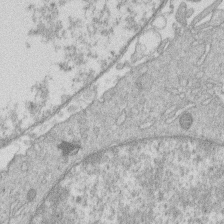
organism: Human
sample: Macrophage cells